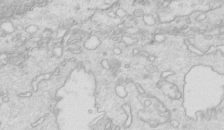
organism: Mouse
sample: Multiciliated cells